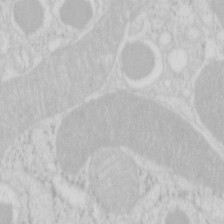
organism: Mouse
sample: Pancreas